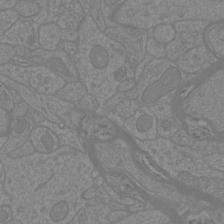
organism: Mouse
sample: Cortical neurons